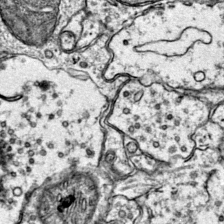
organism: Mouse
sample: Primary visual cortex